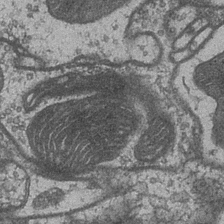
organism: Drosophila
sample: Optic medulla